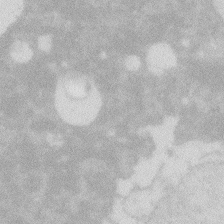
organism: Zebrafish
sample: Macrophage